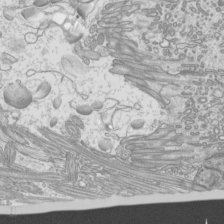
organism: Mouse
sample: Cilia; mouse epididymis